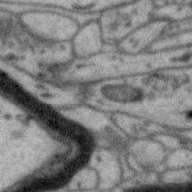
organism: Zebra finch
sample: Brain